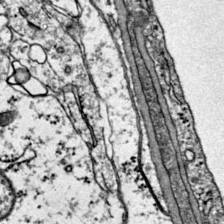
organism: Mouse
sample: Primary visual cortex